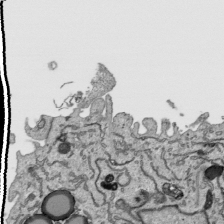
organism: Human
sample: Mitochondria in HCT116 cells